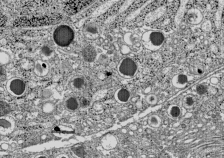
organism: C57BL Mouse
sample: Pancreatic islet